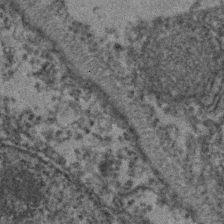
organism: Zebrafish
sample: Zebrafish embryo